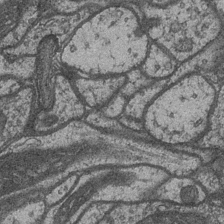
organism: Drosophila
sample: Optic medulla